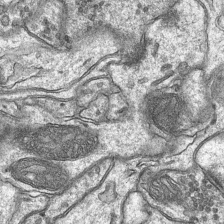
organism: Mouse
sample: CA1 Hippocampus